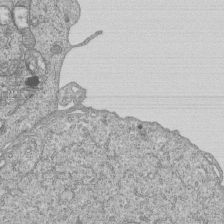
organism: Human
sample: MDA-MB-231 cells